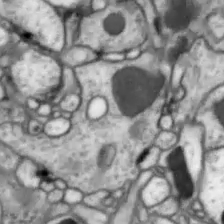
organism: Drosophila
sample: Optic lobe